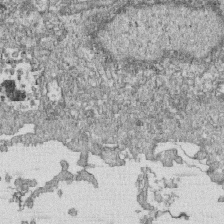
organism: Human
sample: HeLa cell HIV synapse